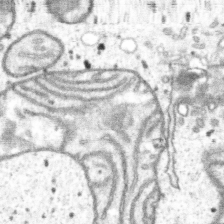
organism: Human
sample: HeLa cells